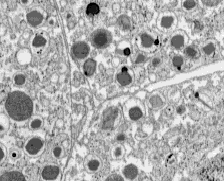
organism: C57BL Mouse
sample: Pancreatic islet